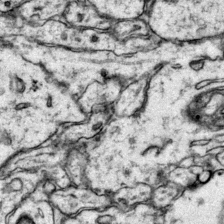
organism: Mouse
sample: Primary visual cortex